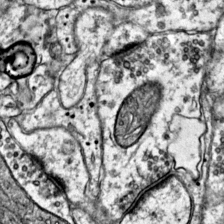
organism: Mouse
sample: Primary visual cortex